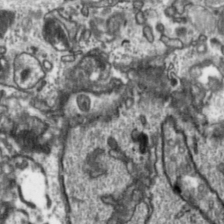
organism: Toxoplasma gondii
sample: Parasites in a vacuole inside a host cell